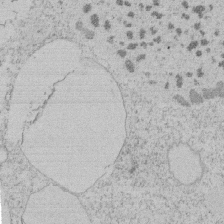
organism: Tetrahymena